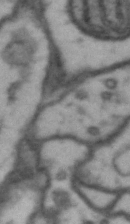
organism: Drosophila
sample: Brain